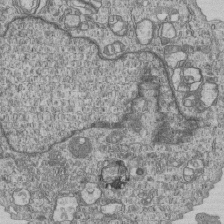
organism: Human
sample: MDA-MB-231 cells